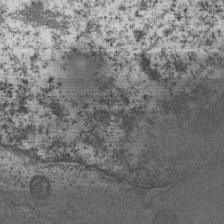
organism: Human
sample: MDA-MB-231 cells